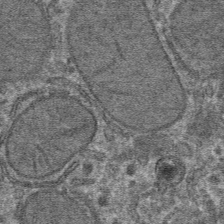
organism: Mouse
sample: Mouse hepatocytes